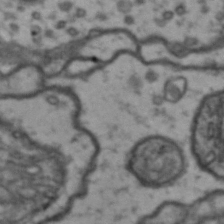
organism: Drosophila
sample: Brain